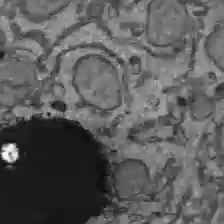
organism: C57BL Mouse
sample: Liver